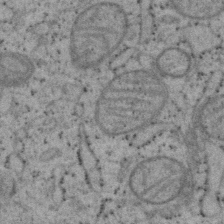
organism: Human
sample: HeLa cells